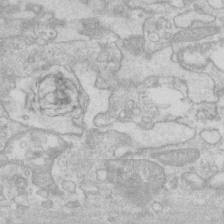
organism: Human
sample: Fibroblast cells